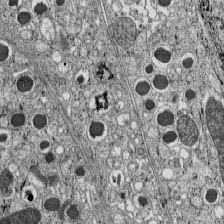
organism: C57BL Mouse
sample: Pancreatic islet